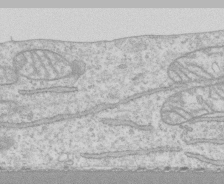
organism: Human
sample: CRL-1474